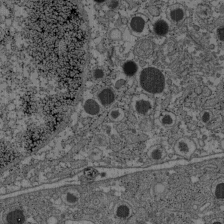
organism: C57BL Mouse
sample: Pancreatic islet